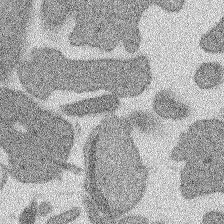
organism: Human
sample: HeLa cells